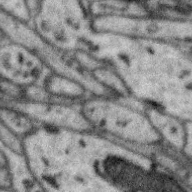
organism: Zebra finch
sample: Brain